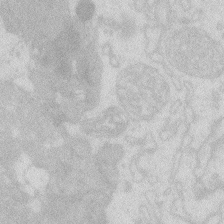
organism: Zebrafish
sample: Macrophage